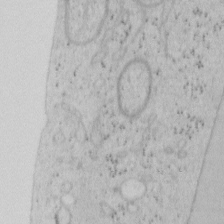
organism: Human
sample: HeLa cells